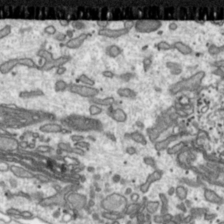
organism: Toxoplasma gondii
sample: Parasites in a vacuole inside a host cell